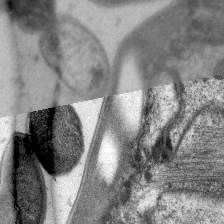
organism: C. elegans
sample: Pharynx